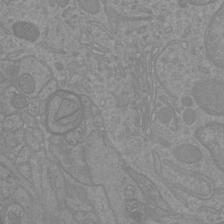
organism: Mouse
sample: Cortical neurons